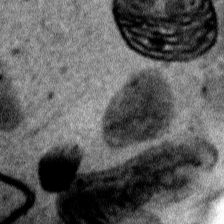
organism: Human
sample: Mitochondria in HCT116 cells